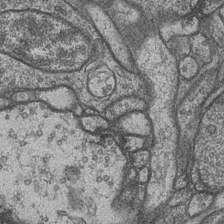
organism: Drosophila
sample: Optic medulla